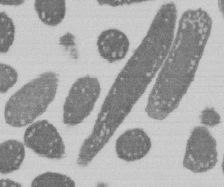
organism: E. coli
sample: Bacterial nucleoid